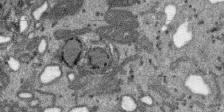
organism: Human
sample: Lung epithelial cells infected with SARS-CoV-2